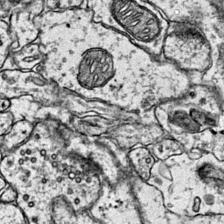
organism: Mouse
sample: Primary visual cortex